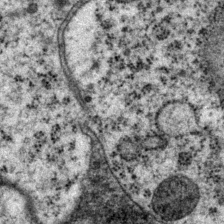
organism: P. pacificus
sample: Pharynx